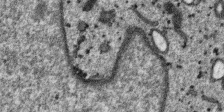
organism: Human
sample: Lung epithelial cells infected with SARS-CoV-2